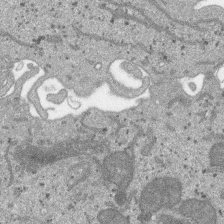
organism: Human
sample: Lung epithelial cells infected with SARS-CoV-2